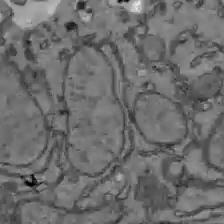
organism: C57BL Mouse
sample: Liver